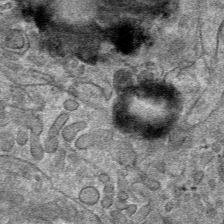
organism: Mouse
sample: Mouse hepatocytes